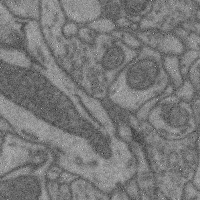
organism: Mouse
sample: Cerebral cortex